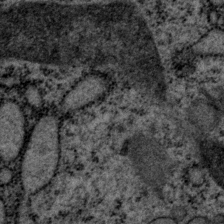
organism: P. pacificus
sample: Pharynx